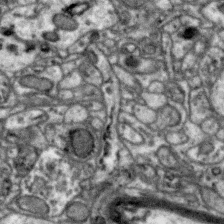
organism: Zebra finch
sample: Brain